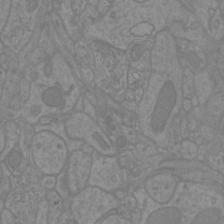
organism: Mouse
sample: Cortical neurons